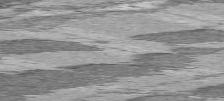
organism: C57BL Mouse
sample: Heart